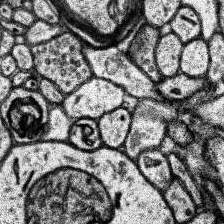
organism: Human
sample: Temporal Lobe